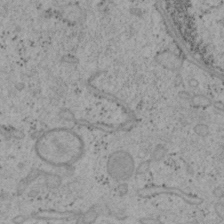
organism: Human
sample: HeLa cells